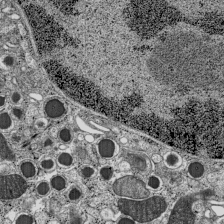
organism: C57BL Mouse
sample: Pancreatic islet